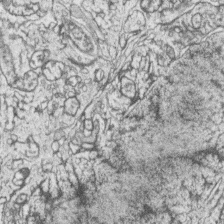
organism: Zebrafish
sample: synaptic ribbons in rod cells and cone cells